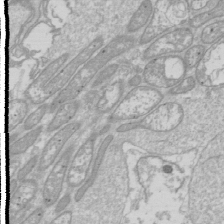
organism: Drosophila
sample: Cell division; meiosis; drosophila spermatocytes